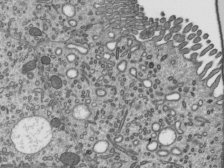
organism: Mouse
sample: Mouse epididymis efferent ductule cilia